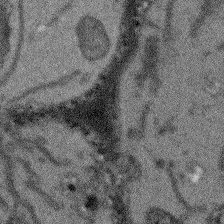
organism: Arabidopsis thaliana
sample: Root tip